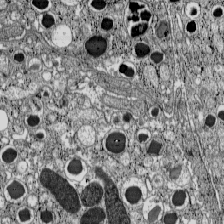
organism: C57BL Mouse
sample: Pancreatic islet